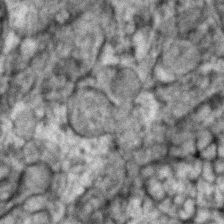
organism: Zebrafish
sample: Zebrafish embryo